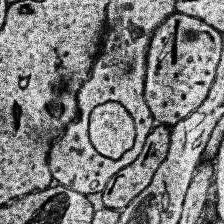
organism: Human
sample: Temporal Lobe